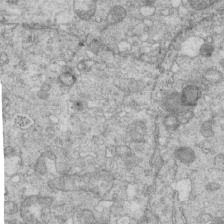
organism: Mouse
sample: Multiciliated cells